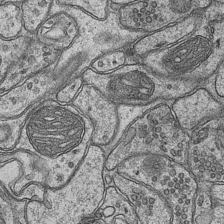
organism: Mouse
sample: CA1 Hippocampus